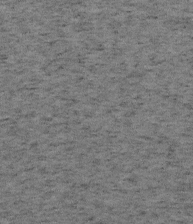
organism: Mouse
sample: OT-I killer T cells with ID8 ovarian cancer cells